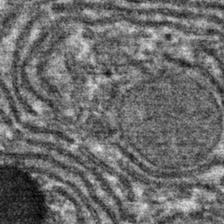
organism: Mouse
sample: Mouse hepatocytes